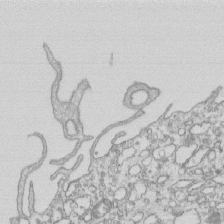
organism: Mouse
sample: Macrophages